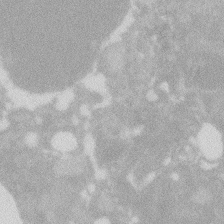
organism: Zebrafish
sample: Macrophage